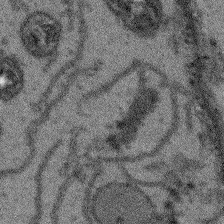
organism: Arabidopsis thaliana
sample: Root tip